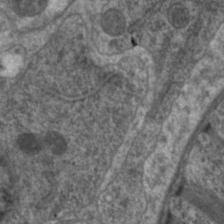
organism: C. elegans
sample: Pharynx